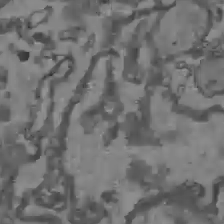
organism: C57BL Mouse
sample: Liver